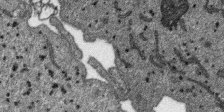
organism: Human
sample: Lung epithelial cells infected with SARS-CoV-2